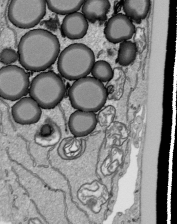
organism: Human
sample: Mitochondria in HCT116 cells